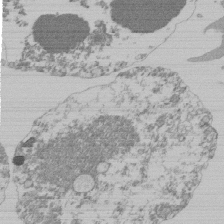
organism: Mouse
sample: Activated Pmel transgenic CD8+ T Cells